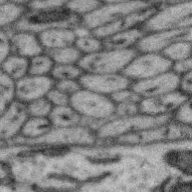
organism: Zebra finch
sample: Brain